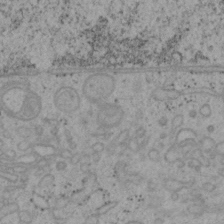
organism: Human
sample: HeLa cells